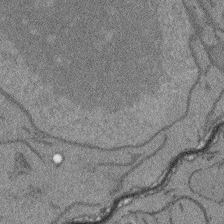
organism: Arabidopsis thaliana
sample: Root tip